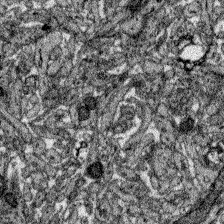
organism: Zebrafish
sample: Larval olfactory bulb